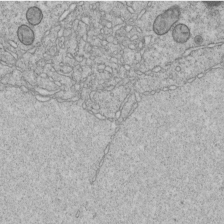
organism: C. elegans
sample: C. elegans embryo early stage